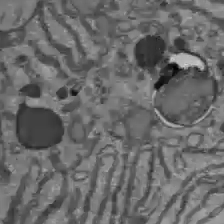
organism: C57BL Mouse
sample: Liver